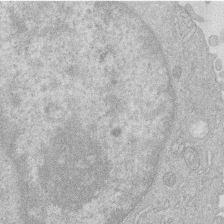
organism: Human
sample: Macrophage cells